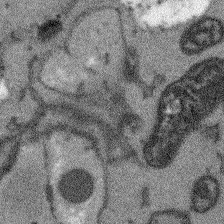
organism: Arabidopsis thaliana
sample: Root tip